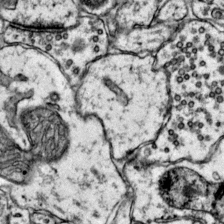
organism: Mouse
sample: Primary visual cortex